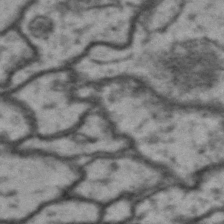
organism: Drosophila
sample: Brain